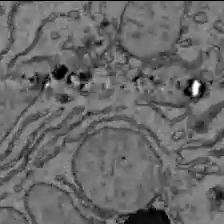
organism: C57BL Mouse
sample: Liver